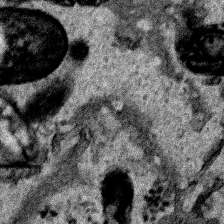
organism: Human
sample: Mitochondria in HCT116 cells